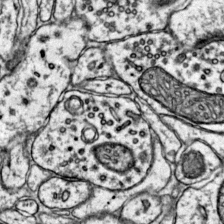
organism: Mouse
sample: Primary visual cortex